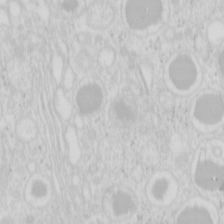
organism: Mouse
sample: Pancreas